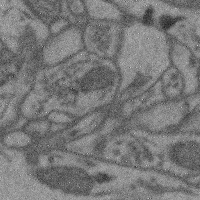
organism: Mouse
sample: Cerebral cortex